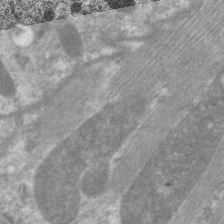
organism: C. elegans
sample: Pharynx